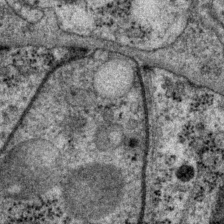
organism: P. pacificus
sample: Pharynx